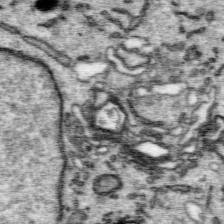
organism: Human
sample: HeLa cells